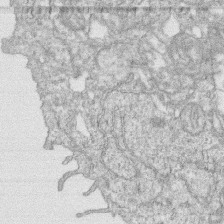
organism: Human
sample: HeLa cell HIV synapse